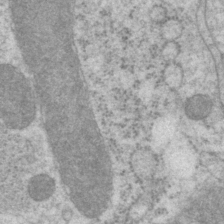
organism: P. pacificus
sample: Pharynx